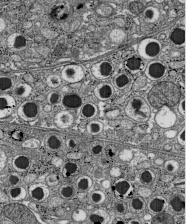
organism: C57BL Mouse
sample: Pancreatic islet